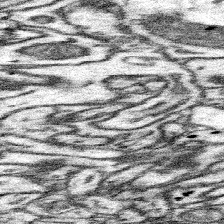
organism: Mouse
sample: Somatosensory cortex neuropil